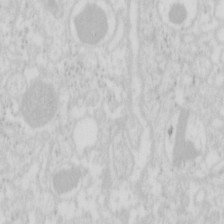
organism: Mouse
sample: Pancreas